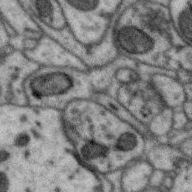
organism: Zebra finch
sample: Brain